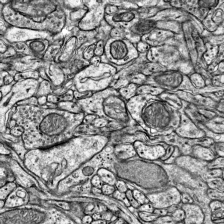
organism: Mouse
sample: Visual Cortex